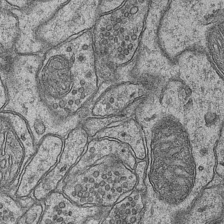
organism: Mouse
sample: CA1 Hippocampus